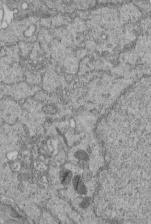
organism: Human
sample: Retinal organoid Rod and Cone cells